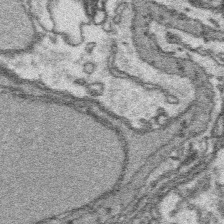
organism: Platynereis dumerilii